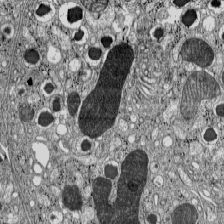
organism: C57BL Mouse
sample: Pancreatic islet